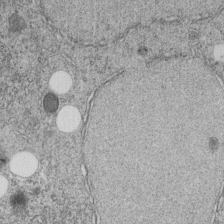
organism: C. elegans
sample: C. elegans embryo early stage